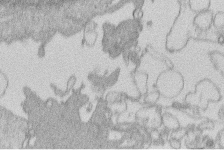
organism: Human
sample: Macrophage cells